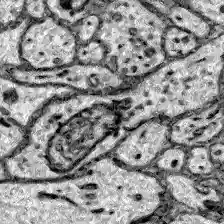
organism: Zebrafish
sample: Brain